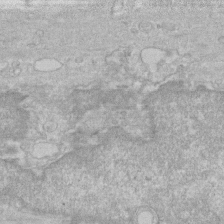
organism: Human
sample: Fibroblast cells